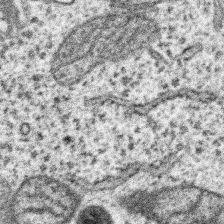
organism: Human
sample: HeLa cells